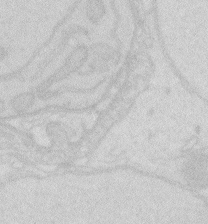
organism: Zebrafish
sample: Macrophage